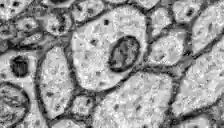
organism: Zebrafish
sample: Brain